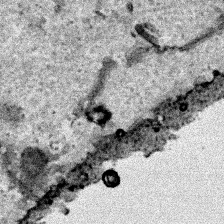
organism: Human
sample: Mitochondria in HCT116 cells